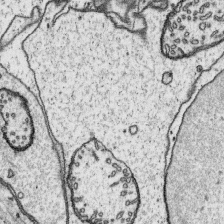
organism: Platynereis dumerilii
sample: Parapodia